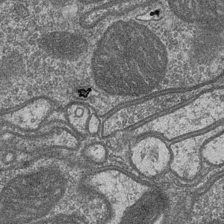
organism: Drosophila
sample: Optic medulla